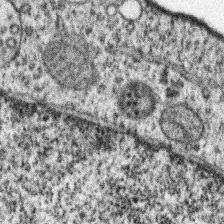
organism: Human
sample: HeLa cells